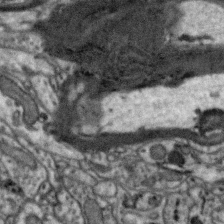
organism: Zebra finch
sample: Brain